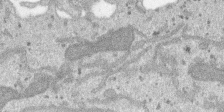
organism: Human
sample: Lung epithelial cells infected with SARS-CoV-2